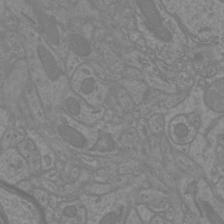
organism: Mouse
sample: Cortical neurons